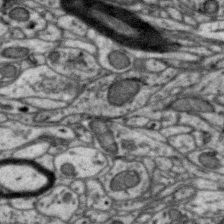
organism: Zebra finch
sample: Brain